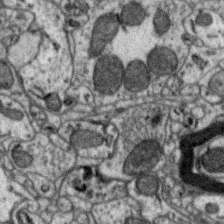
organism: Zebra finch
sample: Brain